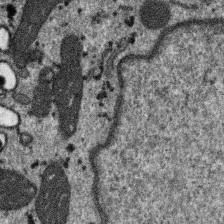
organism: Human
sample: Lung epithelial cells infected with SARS-CoV-2